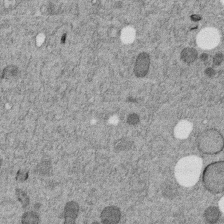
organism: C. elegans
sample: C. elegans embryo early stage